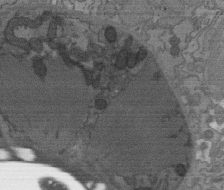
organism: C. elegans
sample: AFD neurons C. elegans